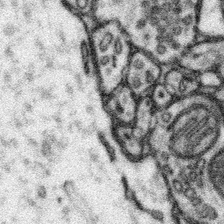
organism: Mouse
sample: Somatosensory cortex neuropil